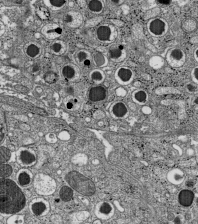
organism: C57BL Mouse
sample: Pancreatic islet